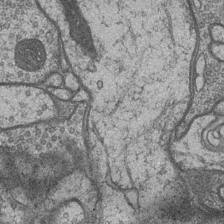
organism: Drosophila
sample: Optic medulla